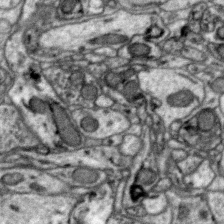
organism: Zebra finch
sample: Brain